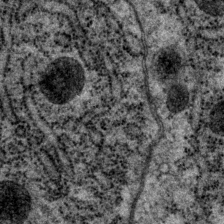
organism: P. pacificus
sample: Pharynx